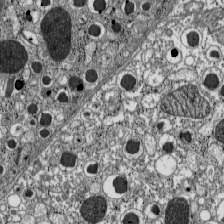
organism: C57BL Mouse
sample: Pancreatic islet